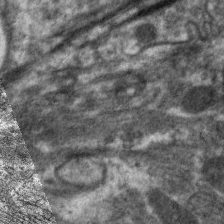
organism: C. elegans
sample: Pharynx